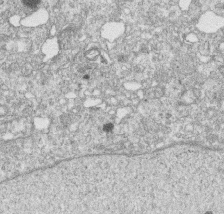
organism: Human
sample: HeLa cell HIV synapse